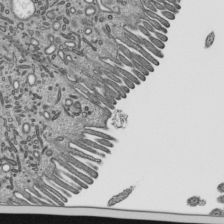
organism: Mouse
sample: Mouse epididymis efferent ductule cilia